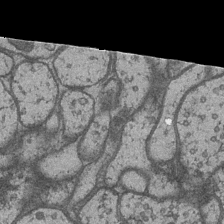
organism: Drosophila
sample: Optic medulla